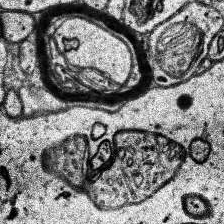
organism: Human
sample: Temporal Lobe